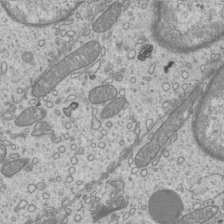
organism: Mouse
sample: Cilia; mouse epididymis